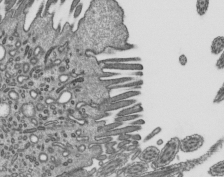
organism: Mouse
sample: Mouse epididymis efferent ductule cilia